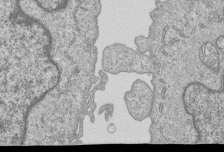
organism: Human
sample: MDA-MB-231 cells